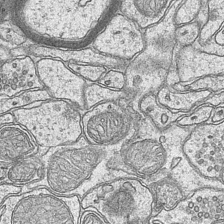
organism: Mouse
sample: CA1 Hippocampus